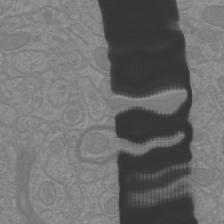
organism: Mouse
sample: Cortical neurons